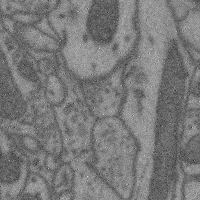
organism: Mouse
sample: Cerebral cortex